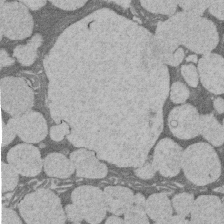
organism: Rat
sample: Salivary granule